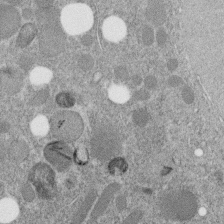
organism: C. elegans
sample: C. elegans embryo early stage